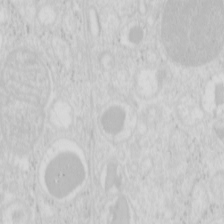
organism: Mouse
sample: Pancreas